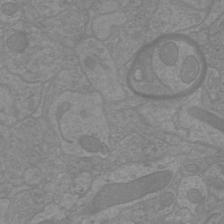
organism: Mouse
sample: Cortical neurons